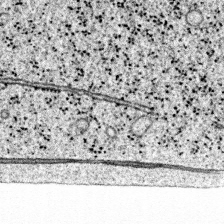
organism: Human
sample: HeLa cells